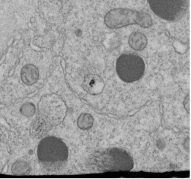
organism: C. elegans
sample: C. elegans embryo early stage